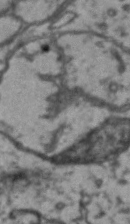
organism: Drosophila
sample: Brain